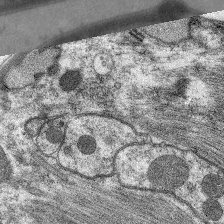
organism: C. elegans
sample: Pharynx